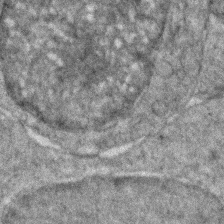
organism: Zebrafish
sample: Zebrafish embryo